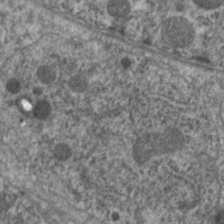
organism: C. elegans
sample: Pharynx